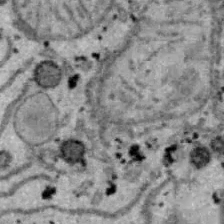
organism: Mouse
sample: Liver from an obese (ob/ob) mouse